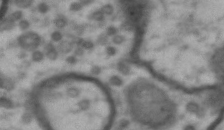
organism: Drosophila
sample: Brain